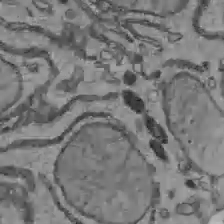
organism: C57BL Mouse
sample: Liver